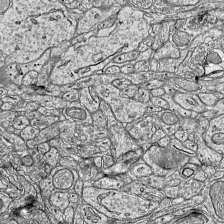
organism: Mouse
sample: Visual Cortex